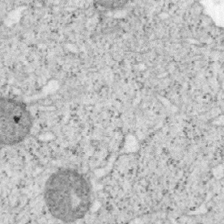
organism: Mouse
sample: OT-I killer T cells with ID8 ovarian cancer cells